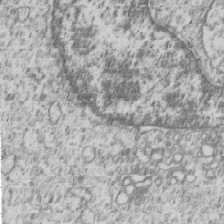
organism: Human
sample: MDA-MB-231 cells